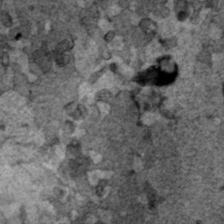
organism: Human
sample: Mitochondria in HCT116 cells